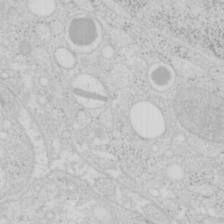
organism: Mouse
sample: Pancreas